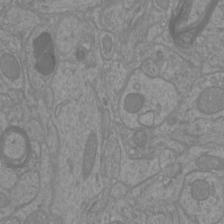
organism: Mouse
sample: Cortical neurons